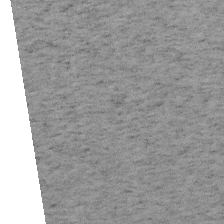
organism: Mouse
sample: OT-I killer T cells with ID8 ovarian cancer cells